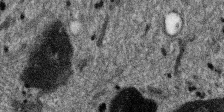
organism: Human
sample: Lung epithelial cells infected with SARS-CoV-2